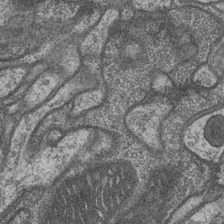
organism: Drosophila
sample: Optic medulla